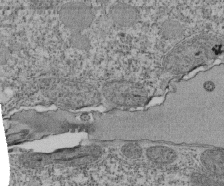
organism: Tetrahymena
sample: Cilia in tetrahymena